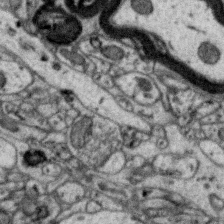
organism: Zebra finch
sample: Brain